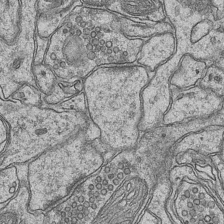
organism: Mouse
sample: CA1 Hippocampus